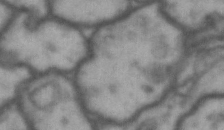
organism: Drosophila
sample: Brain